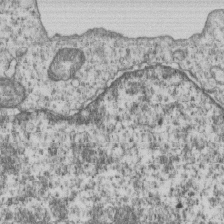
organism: Human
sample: MDA-MB-231 cells